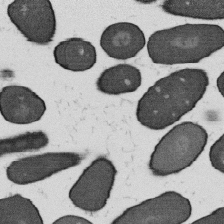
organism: B. subtilis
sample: Bacterial spore